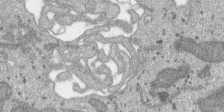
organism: Human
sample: Lung epithelial cells infected with SARS-CoV-2